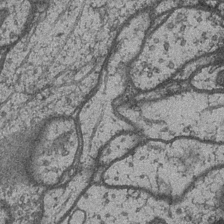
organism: Drosophila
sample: Optic medulla